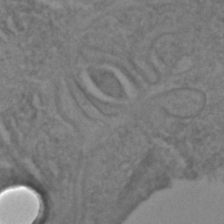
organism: C. elegans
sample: C. elegans embryo